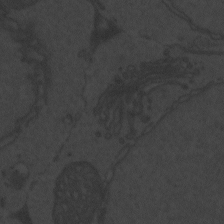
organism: Zebrafish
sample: Macrophage infected with Toxoplasma gondii